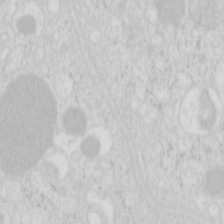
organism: Mouse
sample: Pancreas